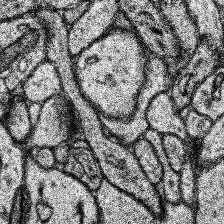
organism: Human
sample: Temporal Lobe